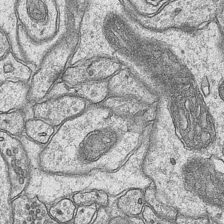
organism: Mouse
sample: CA1 Hippocampus